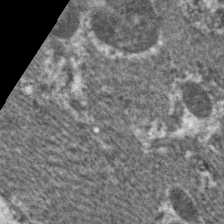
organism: C. elegans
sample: Pharynx